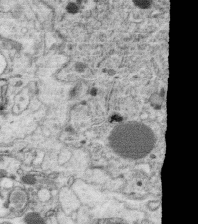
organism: C. elegans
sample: C. elegans oocyte; sperm cells